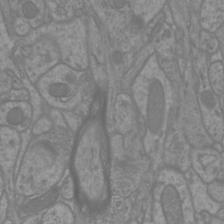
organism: Mouse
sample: Cortical neurons